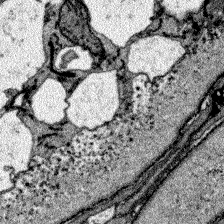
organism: Zebrafish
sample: Larval olfactory bulb